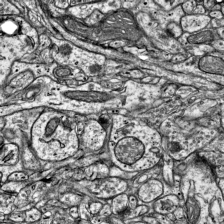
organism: Mouse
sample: Visual Cortex